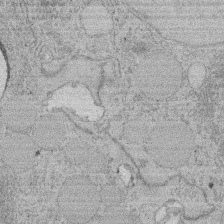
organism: Rat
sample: Salivary granule